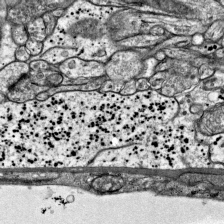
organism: Mouse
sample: Visual Cortex